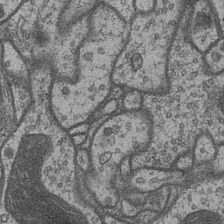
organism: Drosophila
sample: Optic medulla